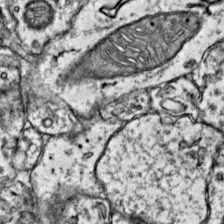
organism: Mouse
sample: Primary visual cortex